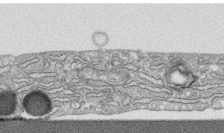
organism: Human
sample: CRL-1474